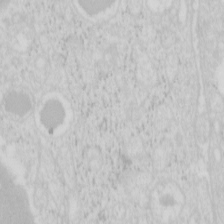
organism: Mouse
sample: Pancreas